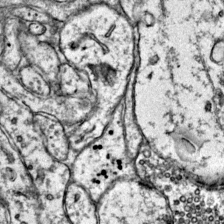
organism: Mouse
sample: Primary visual cortex